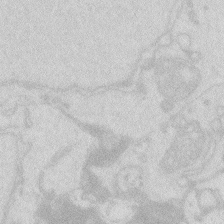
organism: Zebrafish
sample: Macrophage